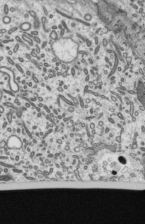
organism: Mouse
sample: Mouse epididymis efferent ductule cilia